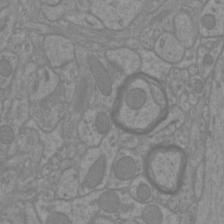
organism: Mouse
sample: Cortical neurons